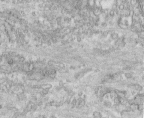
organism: Human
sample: Centriole in fibroblast cells